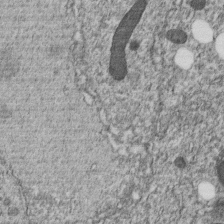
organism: C. elegans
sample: C. elegans embryo early stage